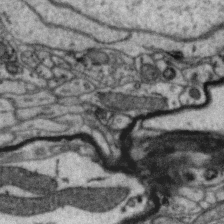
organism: Zebra finch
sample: Brain